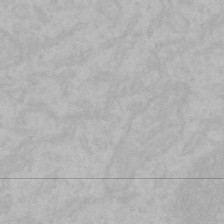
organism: Mouse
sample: Choroid plexus